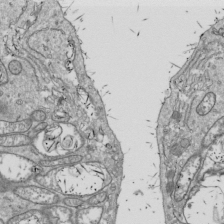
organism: Drosophila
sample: Cell division; meiosis; drosophila spermatocytes